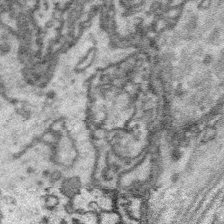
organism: Platynereis dumerilii